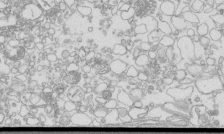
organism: Mouse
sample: Macrophages